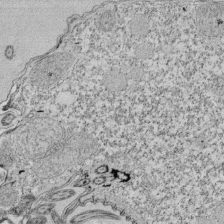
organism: Tetrahymena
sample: Cilia in tetrahymena